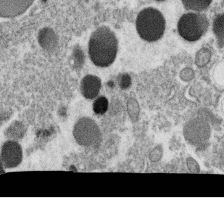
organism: C. elegans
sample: C. elegans oocyte; sperm cells